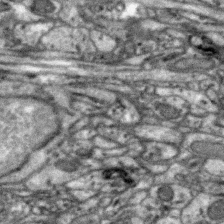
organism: Zebra finch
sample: Brain